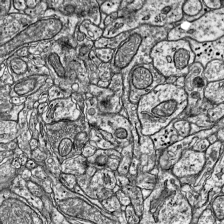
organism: Mouse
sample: Visual Cortex